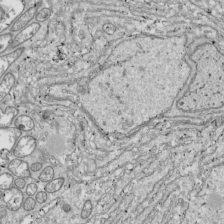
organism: Drosophila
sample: Cell division; meiosis; drosophila spermatocytes